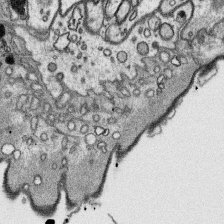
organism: Platynereis dumerilii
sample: Parapodia